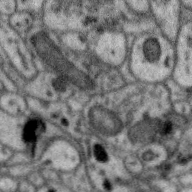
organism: Zebra finch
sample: Brain